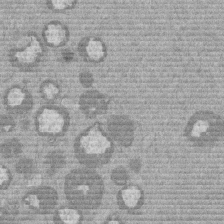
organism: Mouse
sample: Dividing mouse embryo 1 cell stage